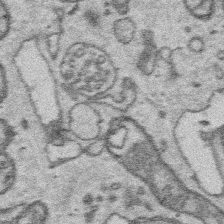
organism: Platynereis dumerilii